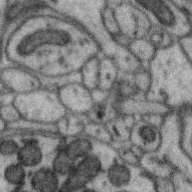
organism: Zebra finch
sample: Brain